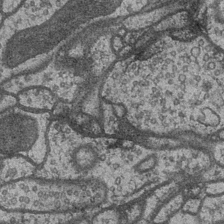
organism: Drosophila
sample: Optic medulla